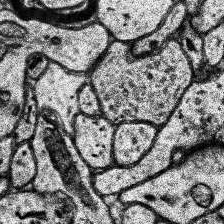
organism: Human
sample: Temporal Lobe